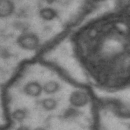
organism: Drosophila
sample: Brain